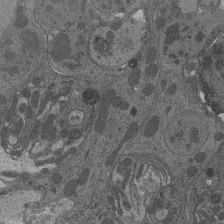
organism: Drosophila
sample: Antenna